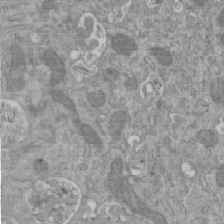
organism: Mouse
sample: ED-1 cell nuclei; centrioles